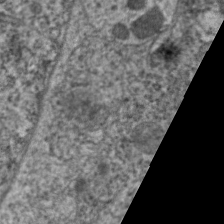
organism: C. elegans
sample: Pharynx